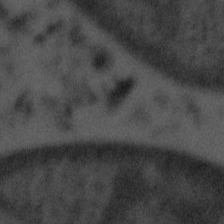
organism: Tuwongella immobilis